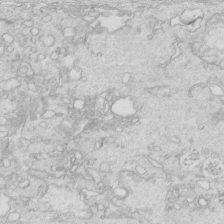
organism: Mouse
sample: Multiciliated cells